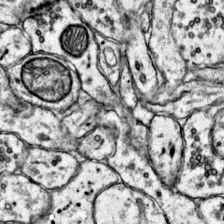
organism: Mouse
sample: Primary visual cortex